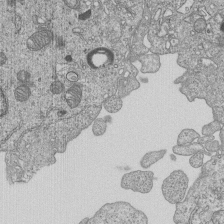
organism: Human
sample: MDA-MB-231 cells